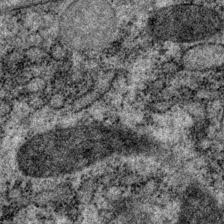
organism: P. pacificus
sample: Pharynx